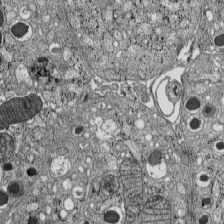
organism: C57BL Mouse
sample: Pancreatic islet